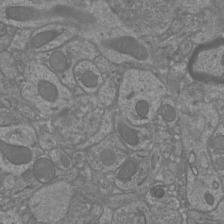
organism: Mouse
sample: Cortical neurons